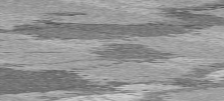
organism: C57BL Mouse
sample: Heart